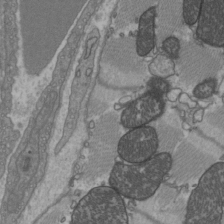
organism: C57BL Mouse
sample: Heart